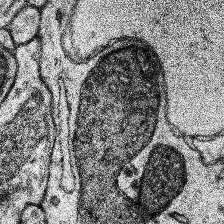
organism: Human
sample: Temporal Lobe